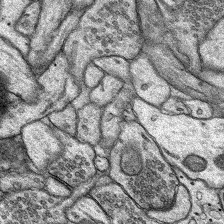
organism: Rat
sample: Hippocampus